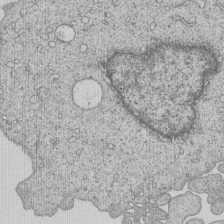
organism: Human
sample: MDA-MB-231 cells